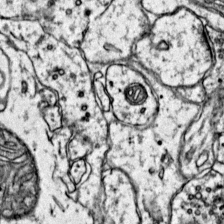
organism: Mouse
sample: Primary visual cortex